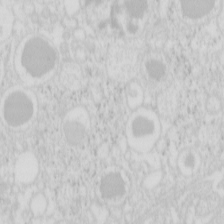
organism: Mouse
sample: Pancreas